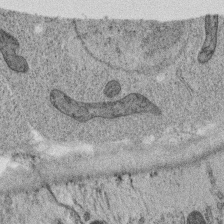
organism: C. elegans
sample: C. elegans oocyte; sperm cells